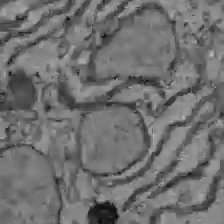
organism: C57BL Mouse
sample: Liver